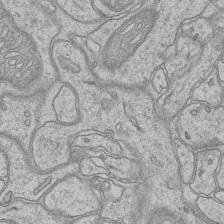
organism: Mouse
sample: CA1 Hippocampus